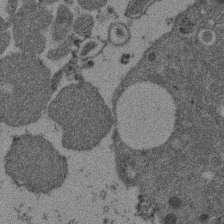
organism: Mouse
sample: Dividing mouse embryo 1 cell stage